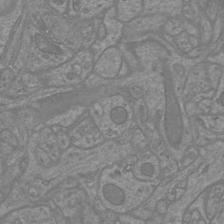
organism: Mouse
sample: Cortical neurons